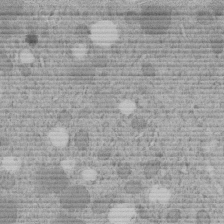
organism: C. elegans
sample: C. elegans embryo early stage